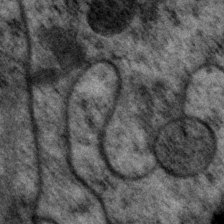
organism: P. pacificus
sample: Pharynx